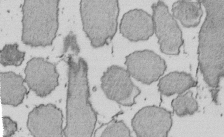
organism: E. coli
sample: Bacterial nucleoid